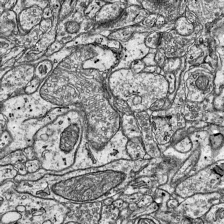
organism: Mouse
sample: Visual Cortex